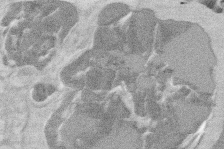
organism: Mouse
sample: T cell stromal cell synapse